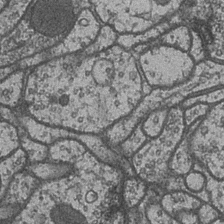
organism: Drosophila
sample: Optic medulla